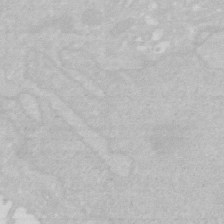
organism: Human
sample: HIV infected U937 cells